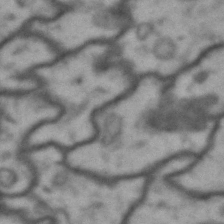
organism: Drosophila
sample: Brain